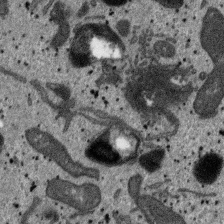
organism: Human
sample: Lung epithelial cells, uninfected (mock) control